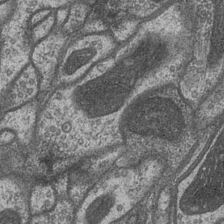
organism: Drosophila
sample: Optic medulla